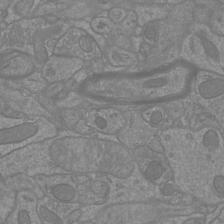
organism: Mouse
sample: Cortical neurons